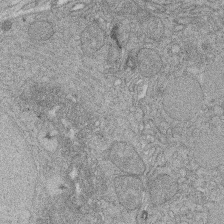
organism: Rat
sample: Salivary granule